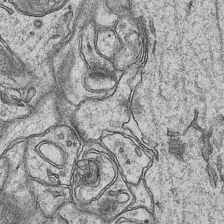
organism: Mouse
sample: CA1 Hippocampus